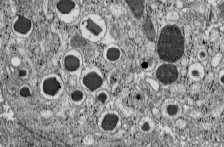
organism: C57BL Mouse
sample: Pancreatic islet